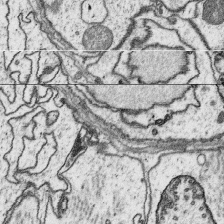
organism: Platynereis dumerilii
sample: Parapodia